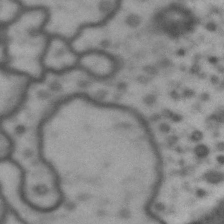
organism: Drosophila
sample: Brain